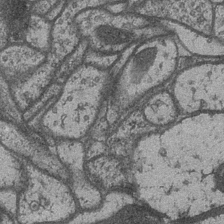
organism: Drosophila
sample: Optic medulla